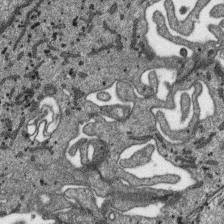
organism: Human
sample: Lung epithelial cells infected with SARS-CoV-2